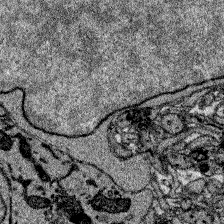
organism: Zebrafish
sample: Larval olfactory bulb